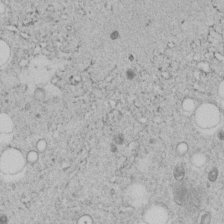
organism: C. elegans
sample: C. elegans embryo early stage